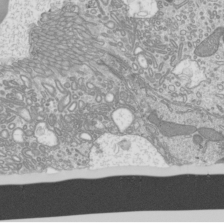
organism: Mouse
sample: Cilia; mouse epididymis